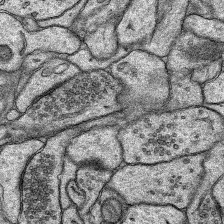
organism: Rat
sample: Hippocampus